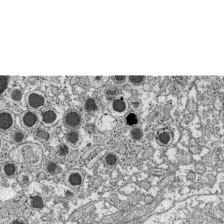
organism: C57BL Mouse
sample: Pancreatic islet